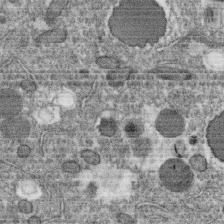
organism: C. elegans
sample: C. elegans oocyte; sperm cells